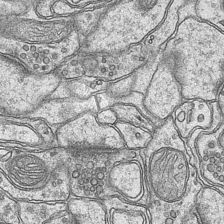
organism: Mouse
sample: CA1 Hippocampus